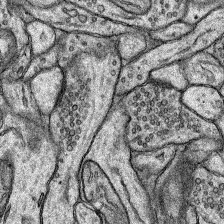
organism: Rat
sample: Hippocampus